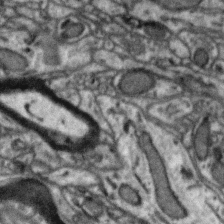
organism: Zebra finch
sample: Brain